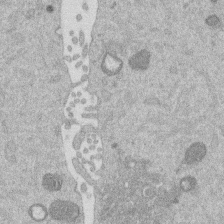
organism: Mouse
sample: Dividing mouse embryo 1 cell stage